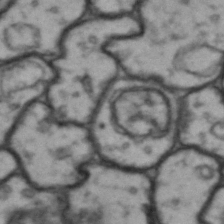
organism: Drosophila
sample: Brain